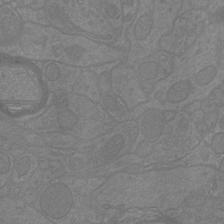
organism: Mouse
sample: Cortical neurons